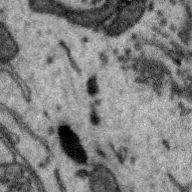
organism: Zebra finch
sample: Brain